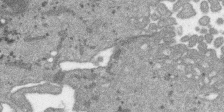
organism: Human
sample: Lung epithelial cells infected with SARS-CoV-2